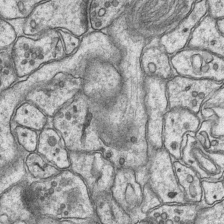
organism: Mouse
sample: CA1 Hippocampus